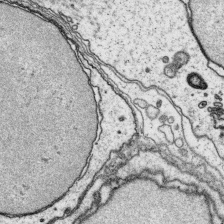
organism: Platynereis dumerilii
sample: Parapodia